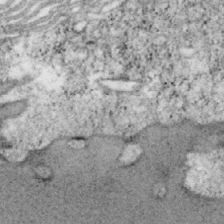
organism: Mouse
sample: OT-I killer T cells with ID8 ovarian cancer cells